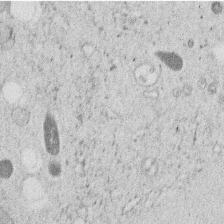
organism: C. elegans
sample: C. elegans embryo early stage